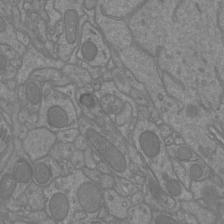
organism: Mouse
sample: Cortical neurons